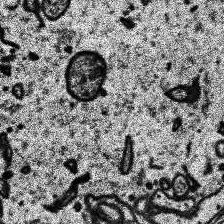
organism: Human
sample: Temporal Lobe